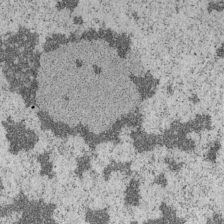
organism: Mouse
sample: OT-I killer T cells with ID8 ovarian cancer cells